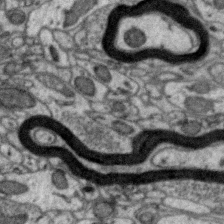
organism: Zebra finch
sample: Brain